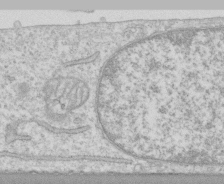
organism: Human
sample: CRL-1474